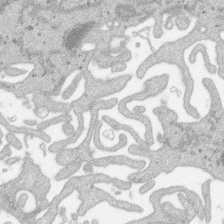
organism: Human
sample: Lung epithelial cells infected with SARS-CoV-2